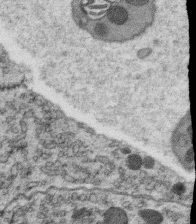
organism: C. elegans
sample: C. elegans oocyte; sperm cells